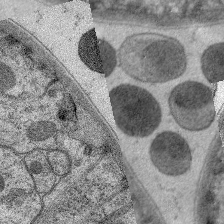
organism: C. elegans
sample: Pharynx